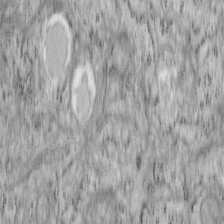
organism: Human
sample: HeLa cells